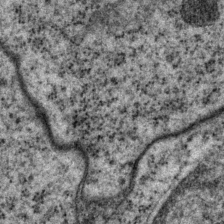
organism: P. pacificus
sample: Pharynx